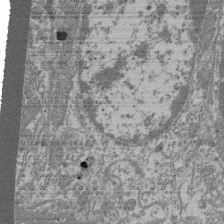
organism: Mouse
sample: Glomerulus